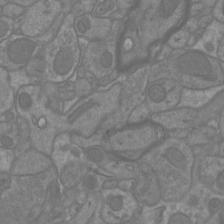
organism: Mouse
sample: Cortical neurons